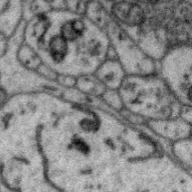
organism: Zebra finch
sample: Brain